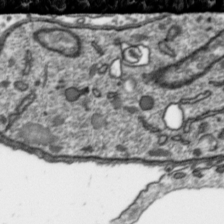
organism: Toxoplasma gondii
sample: Parasites in a vacuole inside a host cell